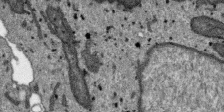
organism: Human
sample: Lung epithelial cells, uninfected (mock) control